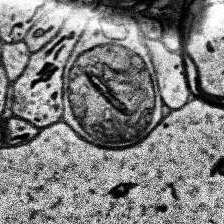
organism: Human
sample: Temporal Lobe